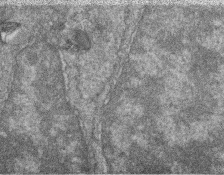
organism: Zebrafish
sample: Cilia; retinal pigment epithelium